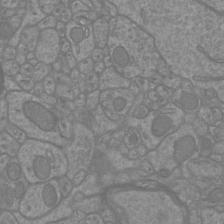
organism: Mouse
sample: Cortical neurons